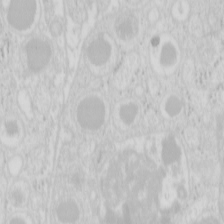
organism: Mouse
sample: Pancreas